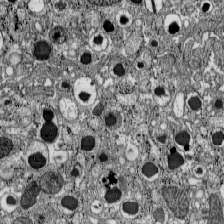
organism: C57BL Mouse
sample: Pancreatic islet